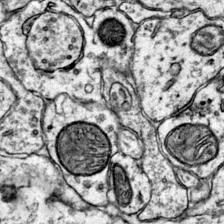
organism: Mouse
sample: Primary visual cortex